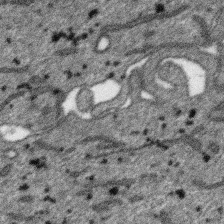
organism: Human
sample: Lung epithelial cells infected with SARS-CoV-2